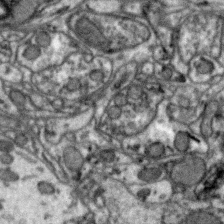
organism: Zebra finch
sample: Brain